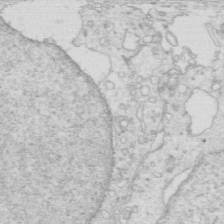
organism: Mouse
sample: Multiciliated cells